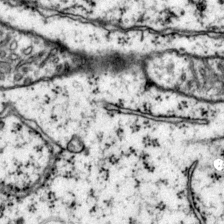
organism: Mouse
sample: Primary visual cortex